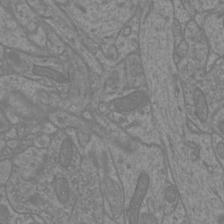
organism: Mouse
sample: Cortical neurons